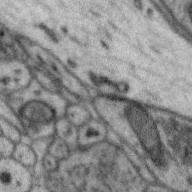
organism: Zebra finch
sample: Brain